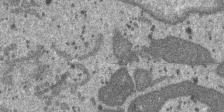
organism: Human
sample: Lung epithelial cells infected with SARS-CoV-2